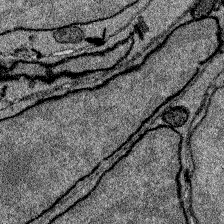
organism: Zebrafish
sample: Larval olfactory bulb